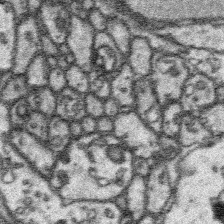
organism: Platynereis dumerilii